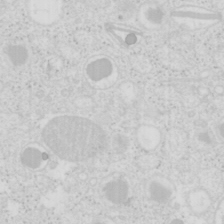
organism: Mouse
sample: Pancreas